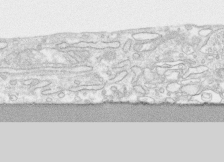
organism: Human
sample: CRL-1474